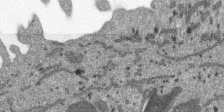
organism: Human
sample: Lung epithelial cells infected with SARS-CoV-2